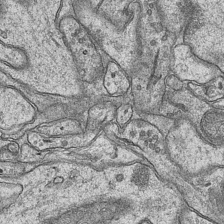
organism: Mouse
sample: CA1 Hippocampus